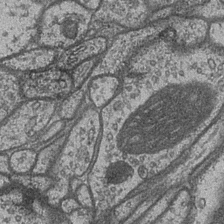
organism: Drosophila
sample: Optic medulla